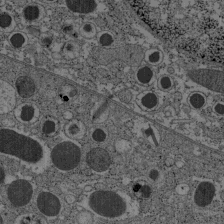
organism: C57BL Mouse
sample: Pancreatic islet